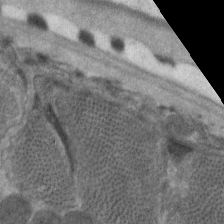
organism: C. elegans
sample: Pharynx